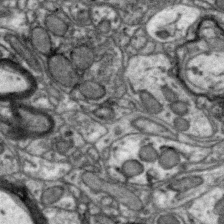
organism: Zebra finch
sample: Brain